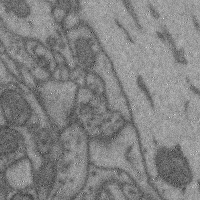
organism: Mouse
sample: Cerebral cortex